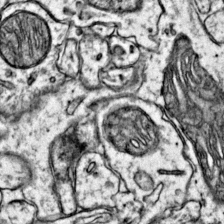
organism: Mouse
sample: Primary visual cortex